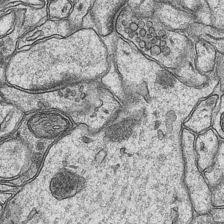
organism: Mouse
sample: CA1 Hippocampus